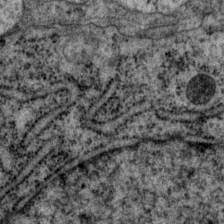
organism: P. pacificus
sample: Pharynx